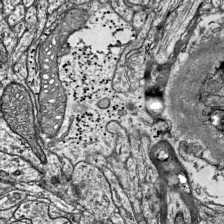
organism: Mouse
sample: Visual Cortex